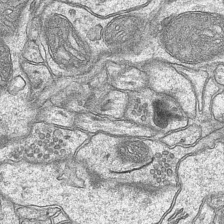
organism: Mouse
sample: CA1 Hippocampus